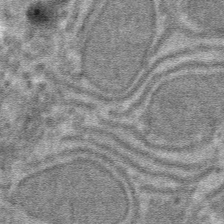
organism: Mouse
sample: Mouse hepatocytes